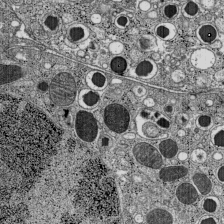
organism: C57BL Mouse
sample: Pancreatic islet